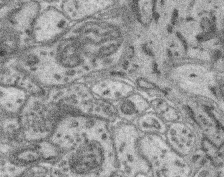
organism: Mouse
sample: Retina